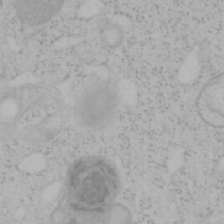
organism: Mouse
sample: OT-I killer T cells with ID8 ovarian cancer cells